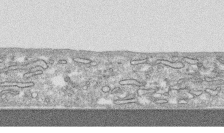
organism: Human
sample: CRL-1474